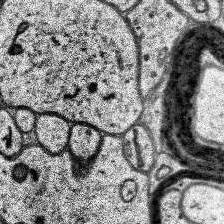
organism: Human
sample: Temporal Lobe